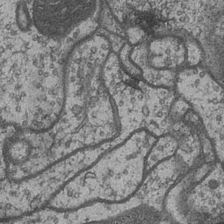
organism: Drosophila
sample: Optic medulla